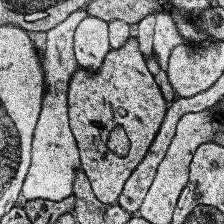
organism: Human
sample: Temporal Lobe